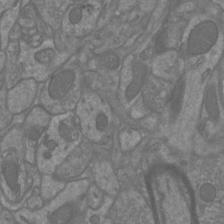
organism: Mouse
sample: Cortical neurons